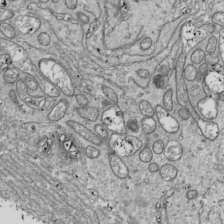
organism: Drosophila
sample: Cell division; meiosis; drosophila spermatocytes